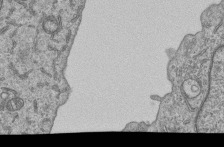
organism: Human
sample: MDA-MB-231 cells